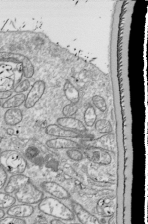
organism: Drosophila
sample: Cell division; meiosis; drosophila spermatocytes